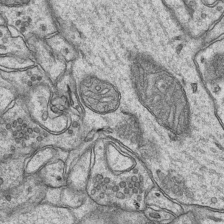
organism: Mouse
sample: CA1 Hippocampus